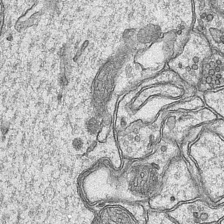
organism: Mouse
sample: CA1 Hippocampus